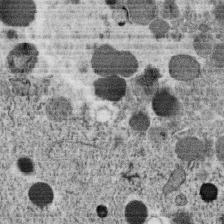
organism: C. elegans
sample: C. elegans oocyte; sperm cells